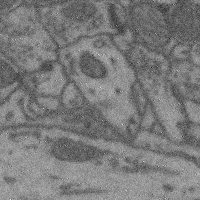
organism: Mouse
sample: Cerebral cortex